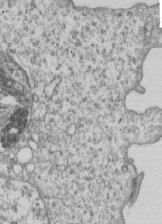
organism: Human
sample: MDA-MB-231 cells